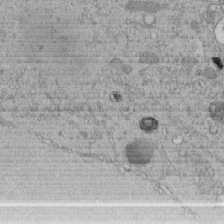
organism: C. elegans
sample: C. elegans embryo early stage